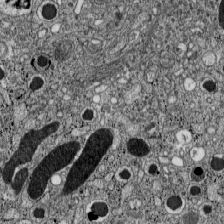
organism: C57BL Mouse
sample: Pancreatic islet